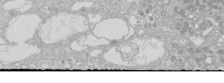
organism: Human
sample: Caco-2 cells